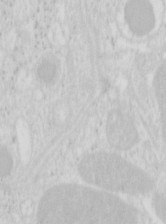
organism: Mouse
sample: Pancreas